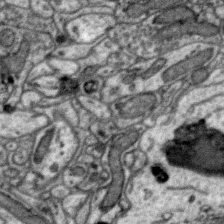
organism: Zebra finch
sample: Brain